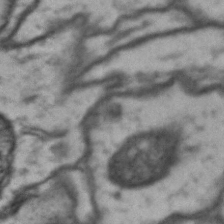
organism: Drosophila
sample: Brain